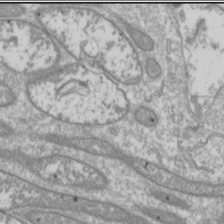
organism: Drosophila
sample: Cell division; meiosis; drosophila spermatocytes